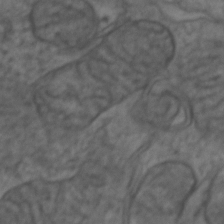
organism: Zebrafish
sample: Zebrafish embryo